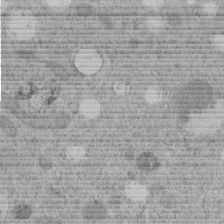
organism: C. elegans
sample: C. elegans embryo early stage